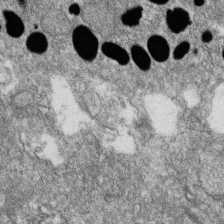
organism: Zebrafish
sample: Cilia; retinal pigment epithelium